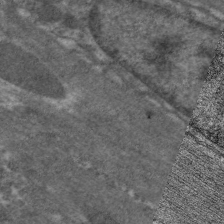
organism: C. elegans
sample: Pharynx